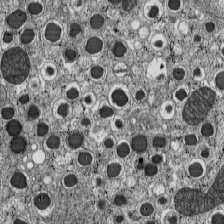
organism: C57BL Mouse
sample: Pancreatic islet